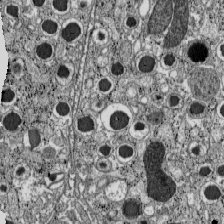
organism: C57BL Mouse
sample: Pancreatic islet